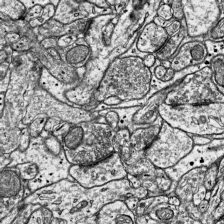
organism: Mouse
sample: Visual Cortex